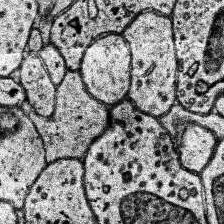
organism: Human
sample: Temporal Lobe